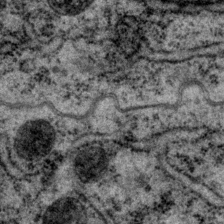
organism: P. pacificus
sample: Pharynx